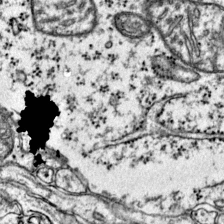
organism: Mouse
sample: Primary visual cortex